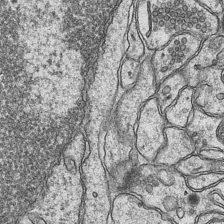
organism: Mouse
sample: CA1 Hippocampus